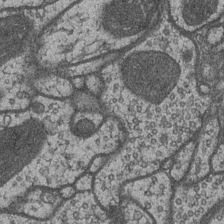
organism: Drosophila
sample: Optic medulla